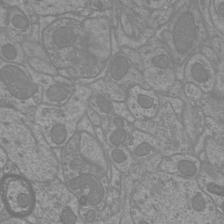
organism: Mouse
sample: Cortical neurons